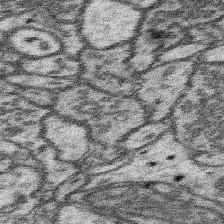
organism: Mouse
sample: Somatosensory cortex neuropil